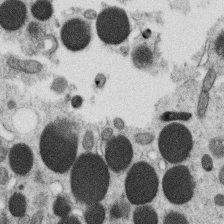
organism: C. elegans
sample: C. elegans oocyte; sperm cells